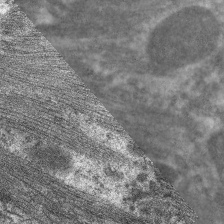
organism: C. elegans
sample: Pharynx